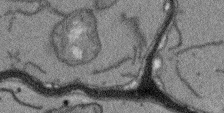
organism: Arabidopsis thaliana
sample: Root tip